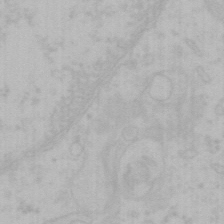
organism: Mouse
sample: Choroid plexus